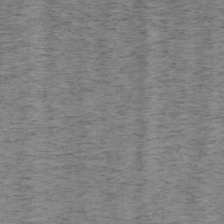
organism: Mouse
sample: OT-I killer T cells with ID8 ovarian cancer cells